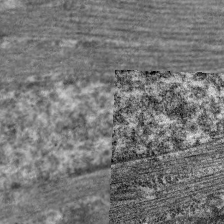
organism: C. elegans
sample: Pharynx